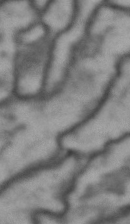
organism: Drosophila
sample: Brain